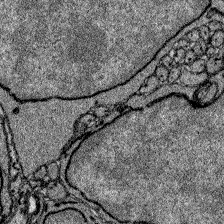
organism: Zebrafish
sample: Larval olfactory bulb